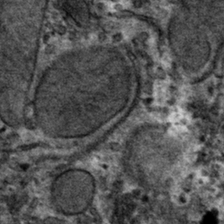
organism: Mouse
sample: Mouse hepatocytes